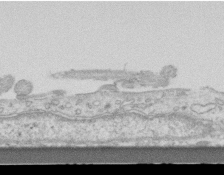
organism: Mouse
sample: Centriole in ependymal cells